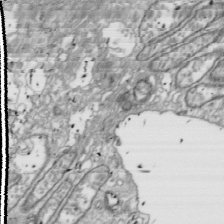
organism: Drosophila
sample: Cell division; meiosis; drosophila spermatocytes